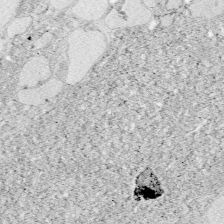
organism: Zebrafish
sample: Whole-Brain